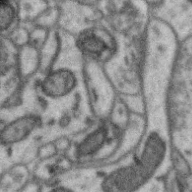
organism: Zebra finch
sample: Brain